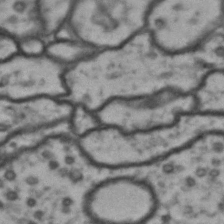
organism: Drosophila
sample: Brain